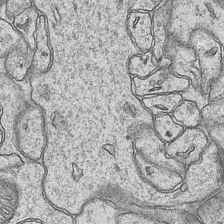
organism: Mouse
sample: CA1 Hippocampus